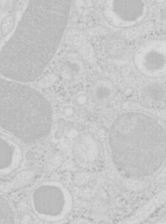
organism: Mouse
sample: Pancreas